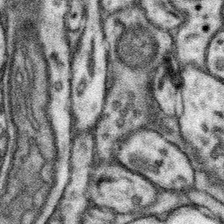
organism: Mouse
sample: Somatosensory cortex neuropil